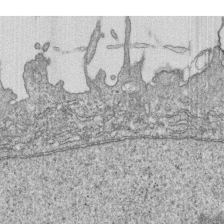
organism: Human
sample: HeLa cell HIV synapse